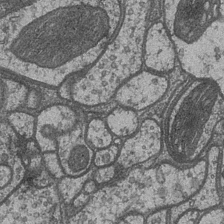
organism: Drosophila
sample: Optic medulla